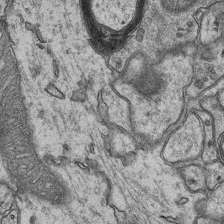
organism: Mouse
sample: CA1 Hippocampus